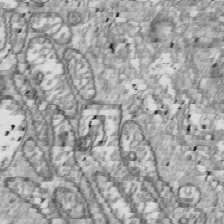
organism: Drosophila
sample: Cell division; meiosis; drosophila spermatocytes